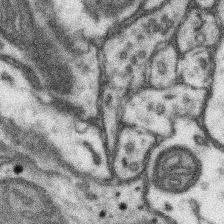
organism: Mouse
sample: Somatosensory cortex neuropil